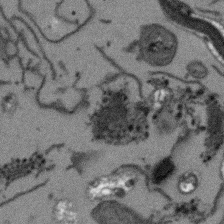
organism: Arabidopsis thaliana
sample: Root tip